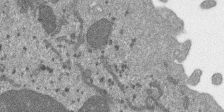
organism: Human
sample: Lung epithelial cells infected with SARS-CoV-2